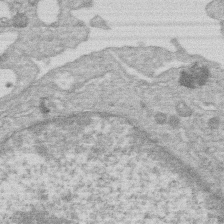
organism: Human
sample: Macrophage cells